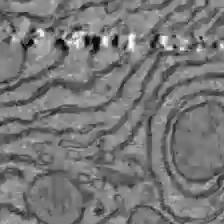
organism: C57BL Mouse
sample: Liver